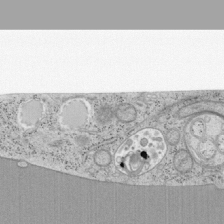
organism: Human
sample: HeLa cells